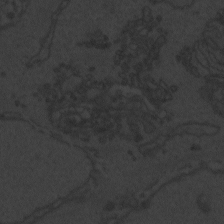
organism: Zebrafish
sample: Macrophage infected with Toxoplasma gondii